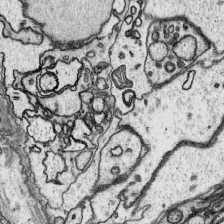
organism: Platynereis dumerilii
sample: Parapodia